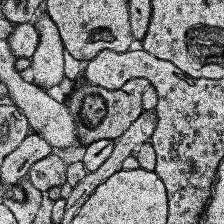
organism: Human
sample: Temporal Lobe